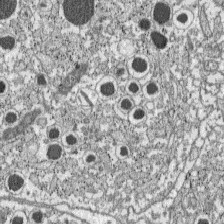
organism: C57BL Mouse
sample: Pancreatic islet